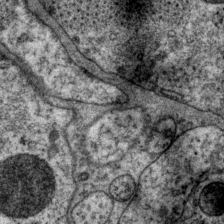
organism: P. pacificus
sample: Pharynx